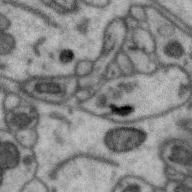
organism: Zebra finch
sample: Brain